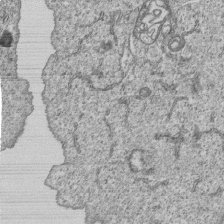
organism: Human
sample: MDA-MB-231 cells